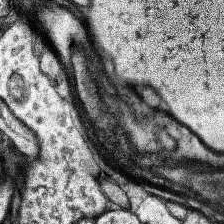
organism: Human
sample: Temporal Lobe